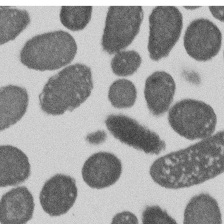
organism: E. coli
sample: Bacterial nucleoid